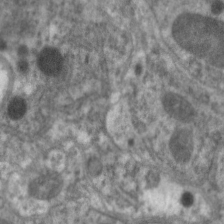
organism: C. elegans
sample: Pharynx